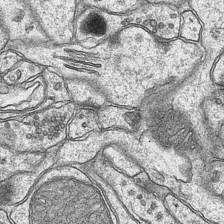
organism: Mouse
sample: CA1 Hippocampus